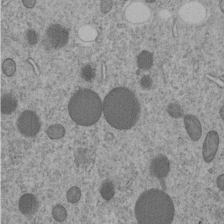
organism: C. elegans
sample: C. elegans embryo early stage